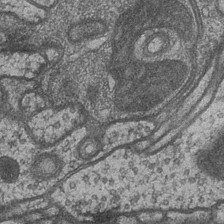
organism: Drosophila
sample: Optic medulla